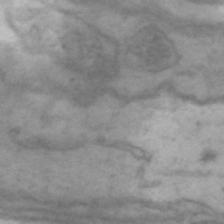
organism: Drosophila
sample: Brain